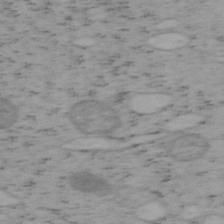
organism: Mouse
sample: OT-I killer T cells with ID8 ovarian cancer cells